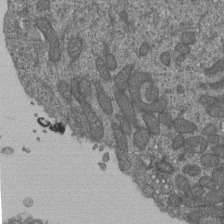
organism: Human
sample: Retinal organoid Rod and Cone cells